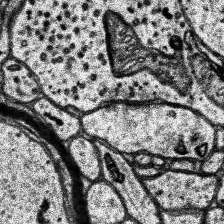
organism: Human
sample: Temporal Lobe